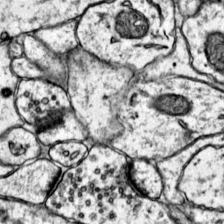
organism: Mouse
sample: Primary visual cortex